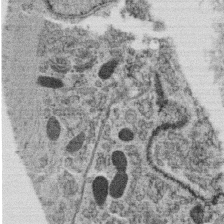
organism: C. elegans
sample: C. elegans oocyte; sperm cells